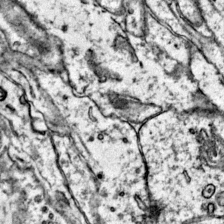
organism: Mouse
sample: Primary visual cortex